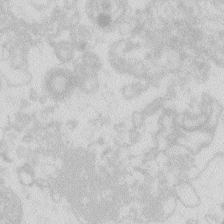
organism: Zebrafish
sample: Macrophage